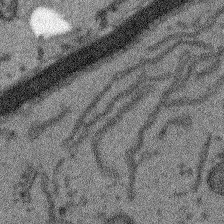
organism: Arabidopsis thaliana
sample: Root tip